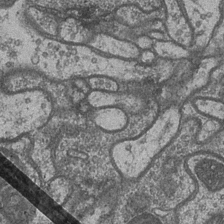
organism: Drosophila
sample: Optic medulla